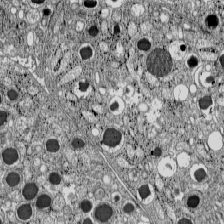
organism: C57BL Mouse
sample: Pancreatic islet